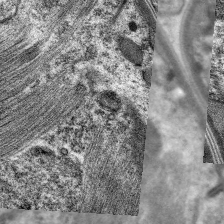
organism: C. elegans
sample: Pharynx